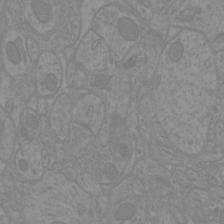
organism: Mouse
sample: Cortical neurons